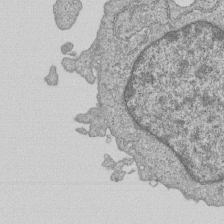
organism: Human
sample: MDA-MB-231 cells